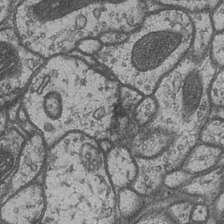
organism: Drosophila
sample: Optic medulla